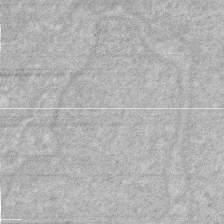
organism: Human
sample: HIV infected U937 cells